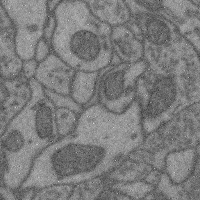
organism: Mouse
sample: Cerebral cortex